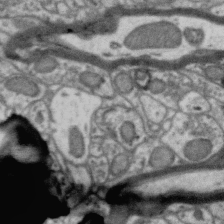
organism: Zebra finch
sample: Brain